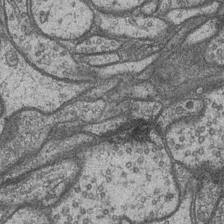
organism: Drosophila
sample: Optic medulla